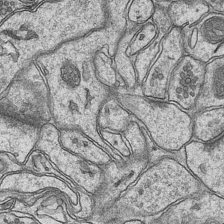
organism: Mouse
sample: CA1 Hippocampus